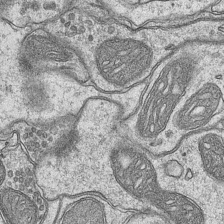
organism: Mouse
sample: CA1 Hippocampus